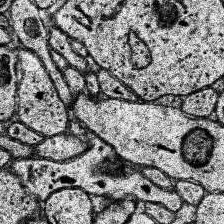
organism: Human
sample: Temporal Lobe